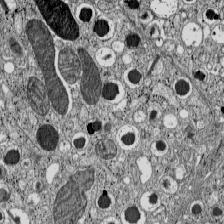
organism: C57BL Mouse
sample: Pancreatic islet